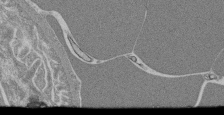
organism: Mouse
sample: Glomerulus